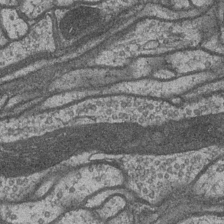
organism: Drosophila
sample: Optic medulla